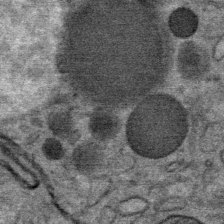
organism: Mouse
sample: Mouse Salivary gland